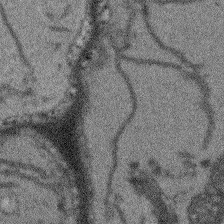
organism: Arabidopsis thaliana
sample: Root tip